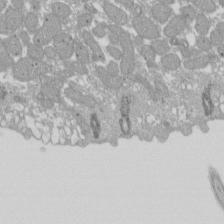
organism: Xenopus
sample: Cilia; centrioles in frog embryo cells